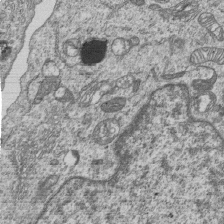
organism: Human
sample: MDA-MB-231 cells